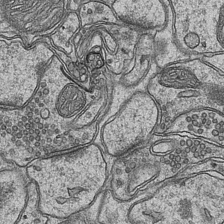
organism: Mouse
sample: CA1 Hippocampus